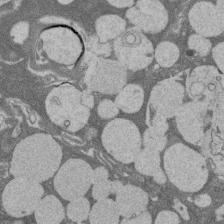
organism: Rat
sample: Salivary granule